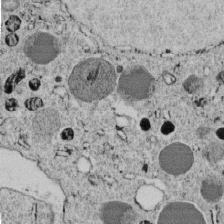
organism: C. elegans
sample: C. elegans embryo early stage